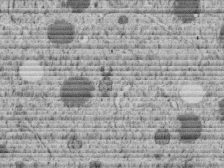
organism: C. elegans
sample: C. elegans embryo early stage